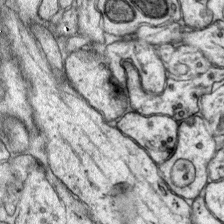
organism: Mouse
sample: Primary visual cortex